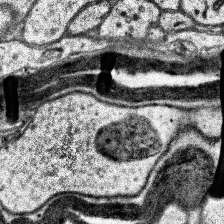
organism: Human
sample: Temporal Lobe